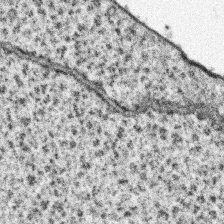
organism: Human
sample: HeLa cells